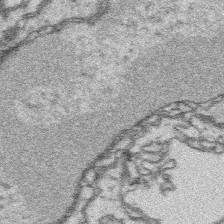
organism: Platynereis dumerilii